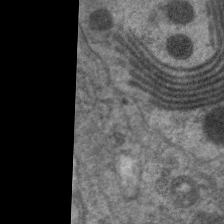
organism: C. elegans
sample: Pharynx